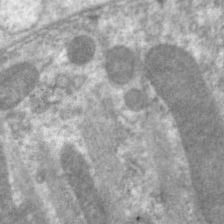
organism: C. elegans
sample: Pharynx